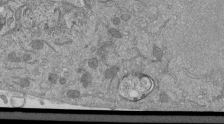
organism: Mouse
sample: ED-1 cell nuclei; centrioles